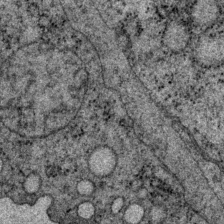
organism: P. pacificus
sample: Pharynx